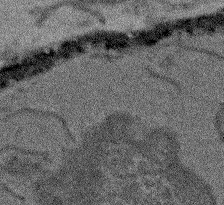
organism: Arabidopsis thaliana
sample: Root tip